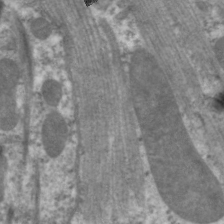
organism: C. elegans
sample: Pharynx